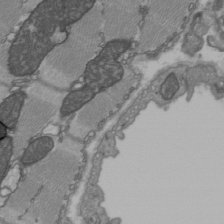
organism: C57BL Mouse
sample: Heart